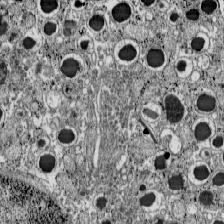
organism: C57BL Mouse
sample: Pancreatic islet